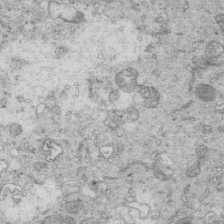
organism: Mouse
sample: Multiciliated cells